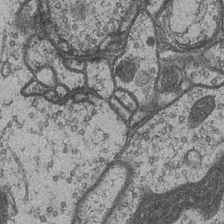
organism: Drosophila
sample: Optic medulla